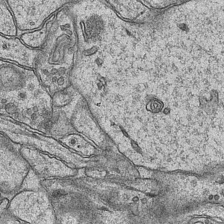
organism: Mouse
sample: CA1 Hippocampus